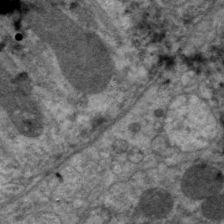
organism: C. elegans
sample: Pharynx